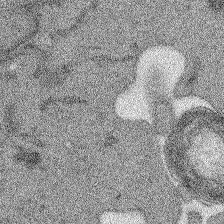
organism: Human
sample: HeLa cells